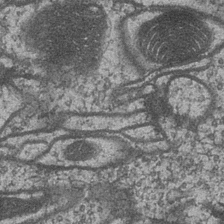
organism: Drosophila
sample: Optic medulla